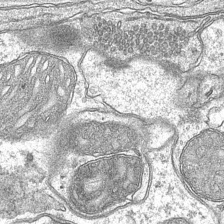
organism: Mouse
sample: CA1 Hippocampus